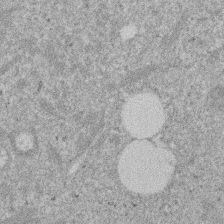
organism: Mouse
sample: Dividing mouse embryo 1 cell stage